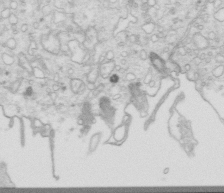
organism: Mouse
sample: Multiciliated cells